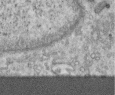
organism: Human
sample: Centriole in RPE cells